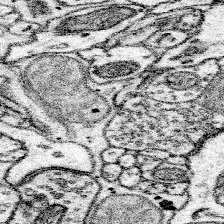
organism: Mouse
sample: Somatosensory cortex neuropil